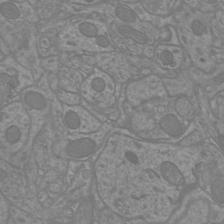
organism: Mouse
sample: Cortical neurons